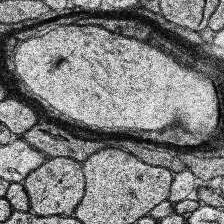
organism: Human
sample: Temporal Lobe